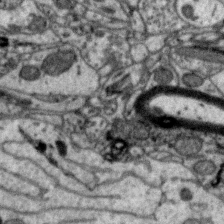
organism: Zebra finch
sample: Brain